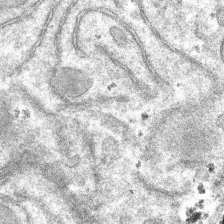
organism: Mouse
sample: Mouse hepatocytes